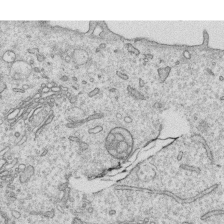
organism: Human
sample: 1205lu cells